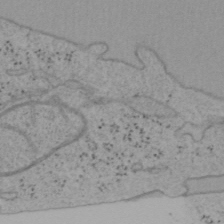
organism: Human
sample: HeLa cells